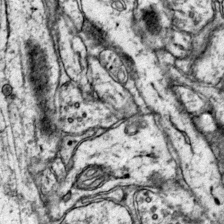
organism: Mouse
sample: Primary visual cortex